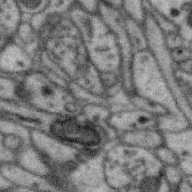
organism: Zebra finch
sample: Brain